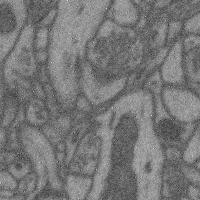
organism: Mouse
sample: Cerebral cortex